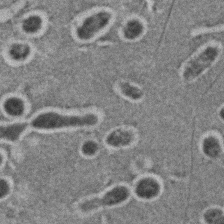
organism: C. elegans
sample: C. elegans embryo